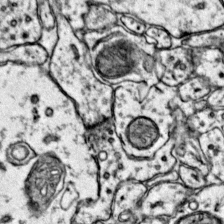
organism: Mouse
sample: Primary visual cortex